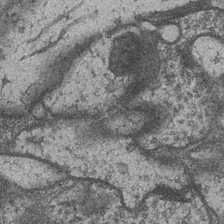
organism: Drosophila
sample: Optic medulla